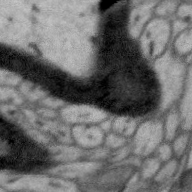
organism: Zebra finch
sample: Brain